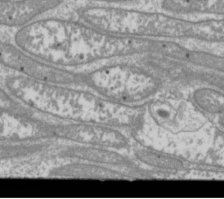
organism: Drosophila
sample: Cell division; meiosis; drosophila spermatocytes